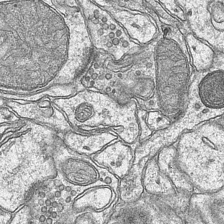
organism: Mouse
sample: CA1 Hippocampus